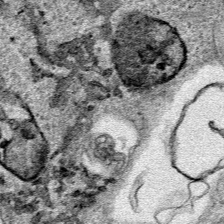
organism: Human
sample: Mitochondria in HCT116 cells